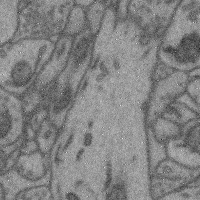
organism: Mouse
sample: Cerebral cortex